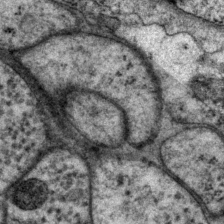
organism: P. pacificus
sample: Pharynx